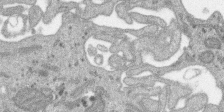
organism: Human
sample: Lung epithelial cells infected with SARS-CoV-2